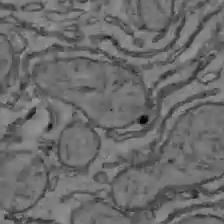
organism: C57BL Mouse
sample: Liver